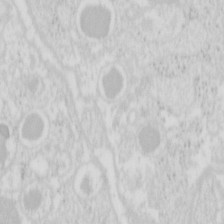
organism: Mouse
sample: Pancreas